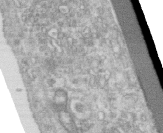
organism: Human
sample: Centriole in RPE cells